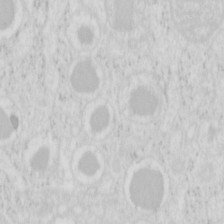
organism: Mouse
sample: Pancreas